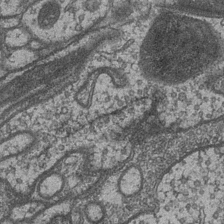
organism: Drosophila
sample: Optic medulla